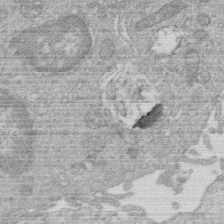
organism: Human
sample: Macrophage cells